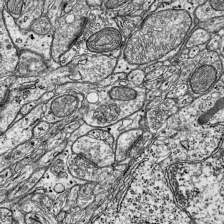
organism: Mouse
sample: Visual Cortex